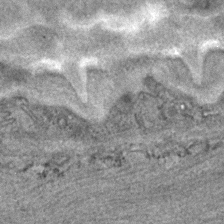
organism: C. elegans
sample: C. elegans embryo